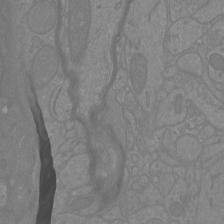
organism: Mouse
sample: Cortical neurons